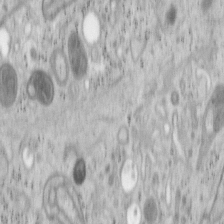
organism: Human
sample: HeLa cells